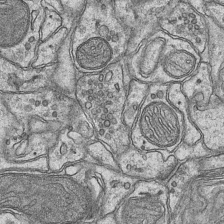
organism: Mouse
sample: CA1 Hippocampus